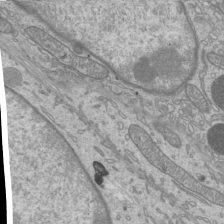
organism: Mouse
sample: Cilia; mouse epididymis